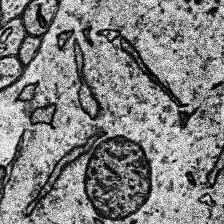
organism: Human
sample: Temporal Lobe